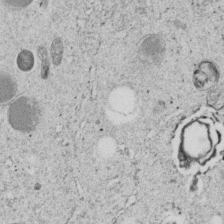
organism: C. elegans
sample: C. elegans embryo early stage